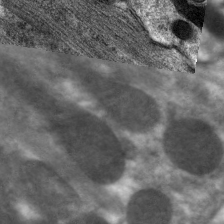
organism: C. elegans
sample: Pharynx